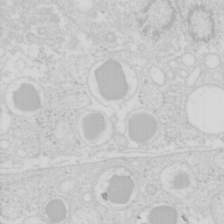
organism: Mouse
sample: Pancreas